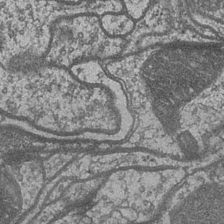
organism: Drosophila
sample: Optic medulla